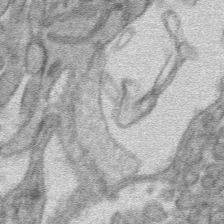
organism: Mouse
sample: Mouse hepatocytes